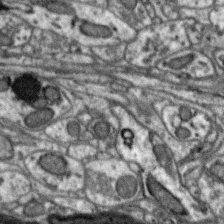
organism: Zebra finch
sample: Brain